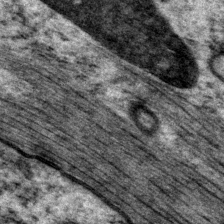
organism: P. pacificus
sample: Pharynx